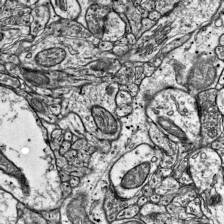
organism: Mouse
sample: Visual Cortex